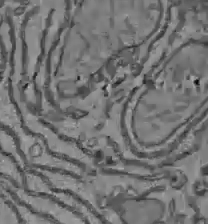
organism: C57BL Mouse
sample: Liver